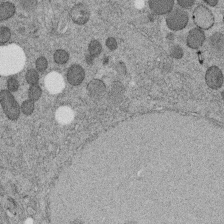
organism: C. elegans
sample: C. elegans embryo early stage